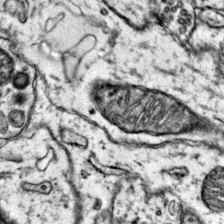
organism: Mouse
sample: Primary visual cortex